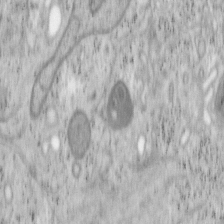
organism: Human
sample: HeLa cells